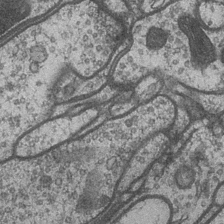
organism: Drosophila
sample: Optic medulla